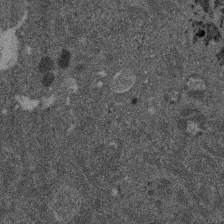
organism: Mouse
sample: Dividing mouse embryo 1 cell stage